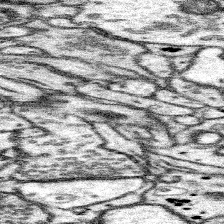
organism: Mouse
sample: Somatosensory cortex neuropil